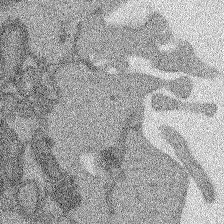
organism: Human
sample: HeLa cells